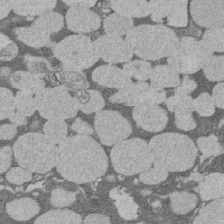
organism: Rat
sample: Salivary granule